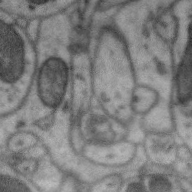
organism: Zebra finch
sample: Brain